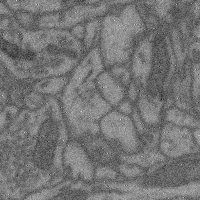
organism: Mouse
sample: Cerebral cortex